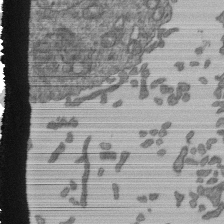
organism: Human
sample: Retinal organoid Rod and Cone cells